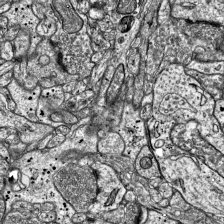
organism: Mouse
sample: Visual Cortex